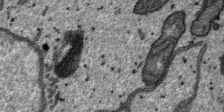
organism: Human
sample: Lung epithelial cells, uninfected (mock) control